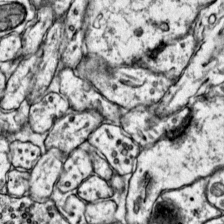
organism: Mouse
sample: Primary visual cortex